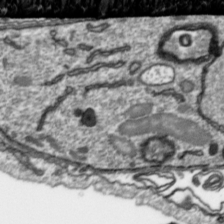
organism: Toxoplasma gondii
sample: Parasites in a vacuole inside a host cell